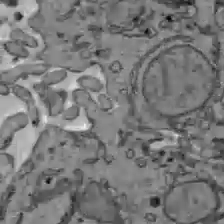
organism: C57BL Mouse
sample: Liver